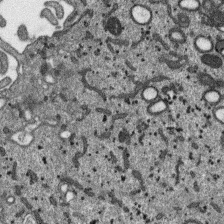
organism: Human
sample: Lung epithelial cells infected with SARS-CoV-2